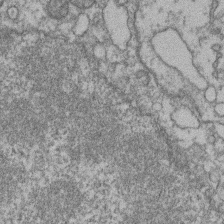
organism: Mouse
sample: T cell stromal cell synapse